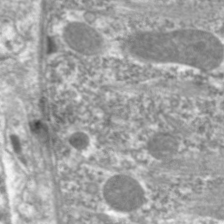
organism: C. elegans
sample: Pharynx